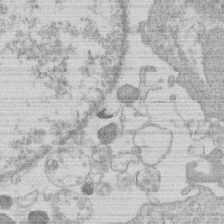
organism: Human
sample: Macrophage cells